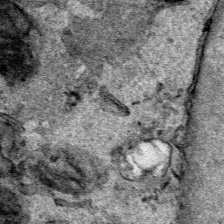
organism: Human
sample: Mitochondria in HCT116 cells